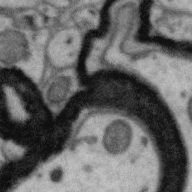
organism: Zebra finch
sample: Brain